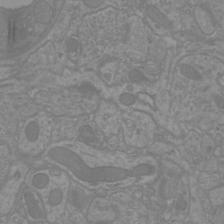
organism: Mouse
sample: Cortical neurons